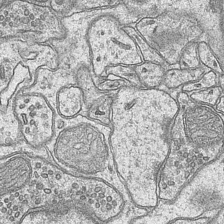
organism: Mouse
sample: CA1 Hippocampus